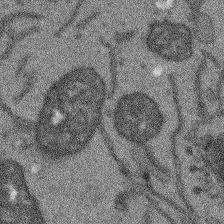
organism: Arabidopsis thaliana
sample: Root tip